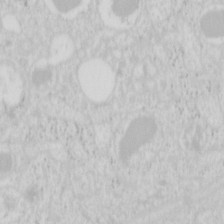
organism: Mouse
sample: Pancreas